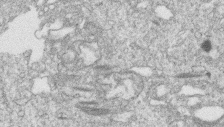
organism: Human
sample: HeLa cell HIV synapse